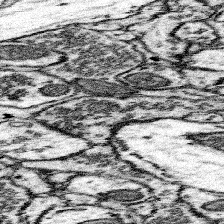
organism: Mouse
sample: Somatosensory cortex neuropil